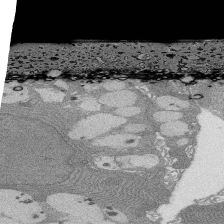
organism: Rat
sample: Salivary granule